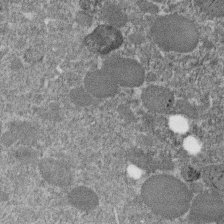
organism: C. elegans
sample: C. elegans embryo early stage